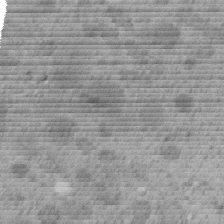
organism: C. elegans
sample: C. elegans embryo early stage